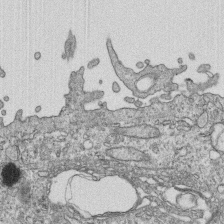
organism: Human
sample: HeLa cell HIV synapse